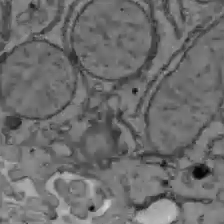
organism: C57BL Mouse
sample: Liver